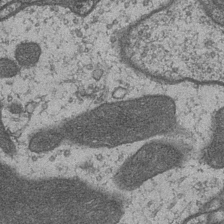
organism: Drosophila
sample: Optic medulla